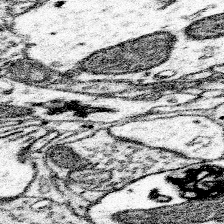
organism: Mouse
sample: Somatosensory cortex neuropil